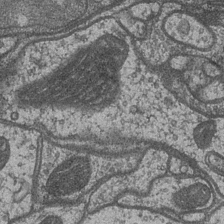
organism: Drosophila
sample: Optic medulla